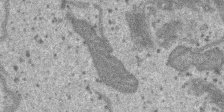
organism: Human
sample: Lung epithelial cells infected with SARS-CoV-2